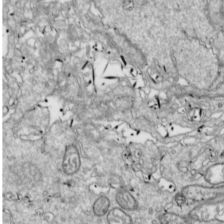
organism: Drosophila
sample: Cell division; meiosis; drosophila spermatocytes